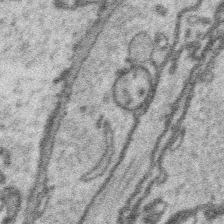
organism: Platynereis dumerilii